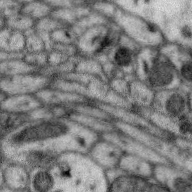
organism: Zebra finch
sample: Brain